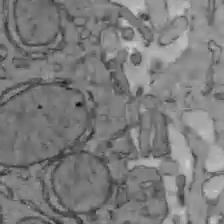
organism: C57BL Mouse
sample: Liver